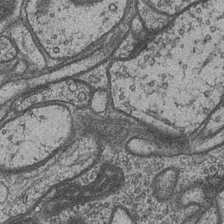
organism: Drosophila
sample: Optic medulla